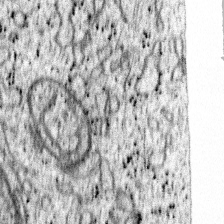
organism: Human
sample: HeLa cells